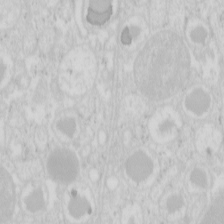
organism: Mouse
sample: Pancreas